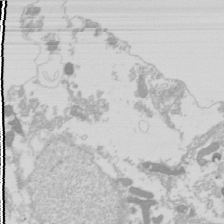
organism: Drosophila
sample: Cell division; meiosis; drosophila spermatocytes